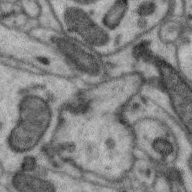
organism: Zebra finch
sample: Brain